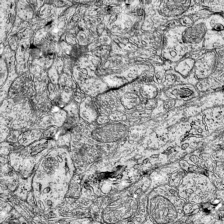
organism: Mouse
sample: Visual Cortex